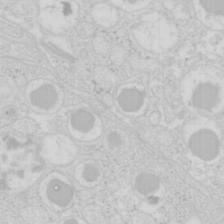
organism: Mouse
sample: Pancreas